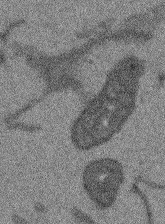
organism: Arabidopsis thaliana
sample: Root tip